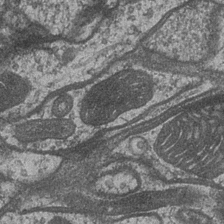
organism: Drosophila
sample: Optic medulla